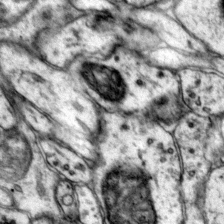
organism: Mouse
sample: Primary visual cortex